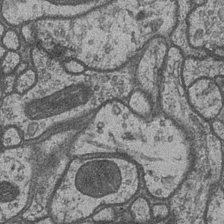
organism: Drosophila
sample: Optic medulla